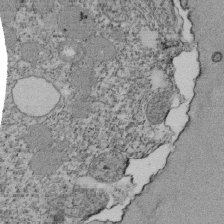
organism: Tetrahymena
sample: Cilia in tetrahymena